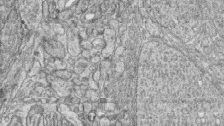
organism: Zebrafish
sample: synaptic ribbons in rod cells and cone cells